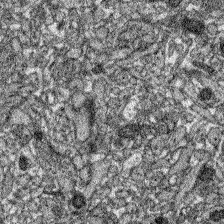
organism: Zebrafish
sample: Larval olfactory bulb